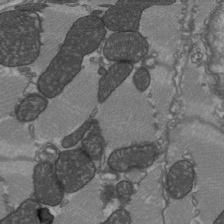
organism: C57BL Mouse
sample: Heart